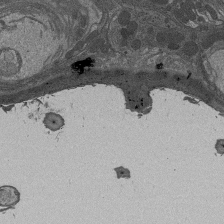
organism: Drosophila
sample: Antenna